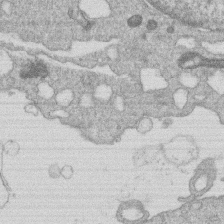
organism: Human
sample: Macrophage cells